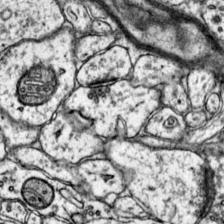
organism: Mouse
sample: Primary visual cortex